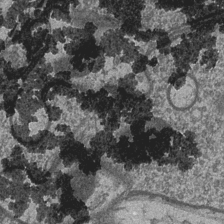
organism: Drosophila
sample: Optic medulla